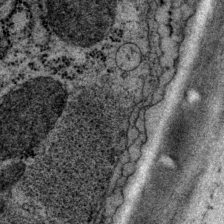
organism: P. pacificus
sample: Pharynx